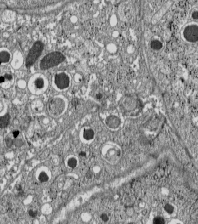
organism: C57BL Mouse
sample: Pancreatic islet